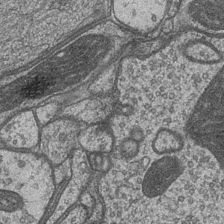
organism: Drosophila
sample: Optic medulla